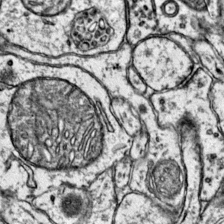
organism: Mouse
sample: Primary visual cortex